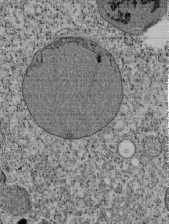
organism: Tetrahymena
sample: Cilia in tetrahymena